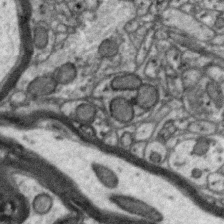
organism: Zebra finch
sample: Brain